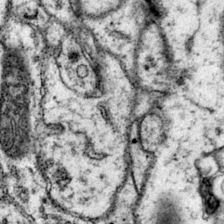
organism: Mouse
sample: Primary visual cortex